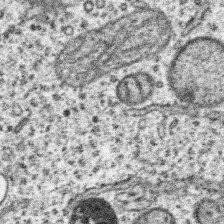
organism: Human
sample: HeLa cells